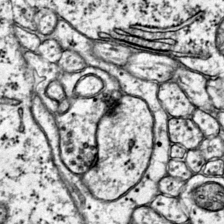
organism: Mouse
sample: Primary visual cortex